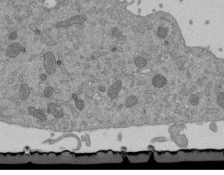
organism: Mouse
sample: ED-1 cell nuclei; centrioles